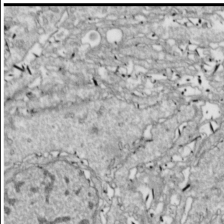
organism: Drosophila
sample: Cell division; meiosis; drosophila spermatocytes